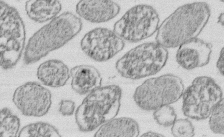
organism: E. coli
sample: Bacterial nucleoid